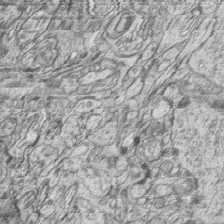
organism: Zebrafish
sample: synaptic ribbons in rod cells and cone cells